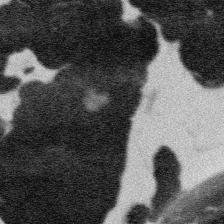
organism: Platynereis dumerilii